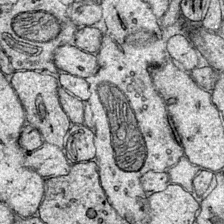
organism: Mouse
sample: Primary visual cortex